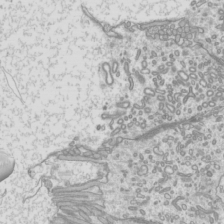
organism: Mouse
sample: Cilia; mouse epididymis